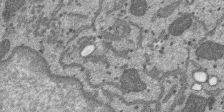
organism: Human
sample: Lung epithelial cells infected with SARS-CoV-2